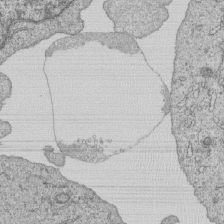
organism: Human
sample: MDA-MB-231 cells